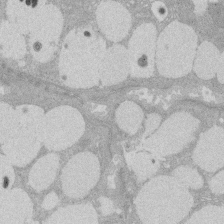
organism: Rat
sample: Salivary granule